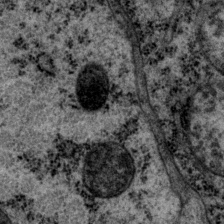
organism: P. pacificus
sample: Pharynx